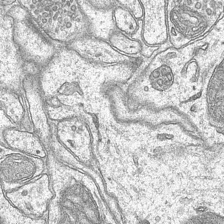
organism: Mouse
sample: CA1 Hippocampus